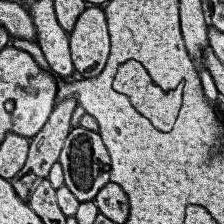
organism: Human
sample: Temporal Lobe